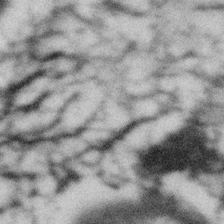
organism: Gemmata obscuriglobus